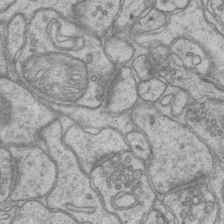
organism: Mouse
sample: CA1 Hippocampus